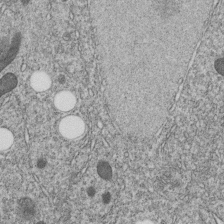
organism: C. elegans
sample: C. elegans embryo early stage